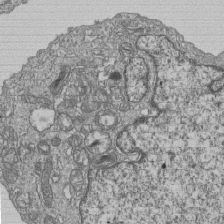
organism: Human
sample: MDA-MB-231 cells